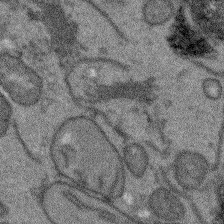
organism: Arabidopsis thaliana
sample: Root tip